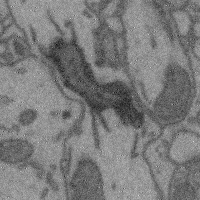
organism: Mouse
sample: Cerebral cortex